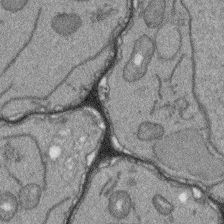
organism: Arabidopsis thaliana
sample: Root tip